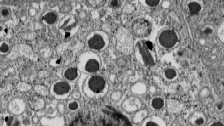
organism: C57BL Mouse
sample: Pancreatic islet